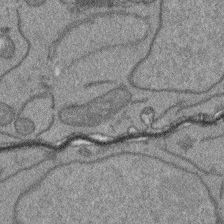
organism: Arabidopsis thaliana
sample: Root tip